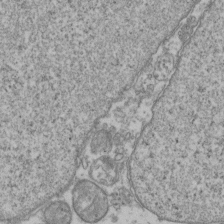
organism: Human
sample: Activated Jurkat CD4+ T cells